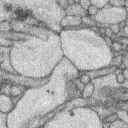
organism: Rabbit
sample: Retina